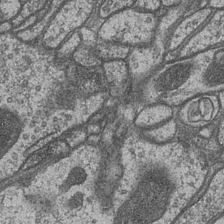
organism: Drosophila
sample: Optic medulla